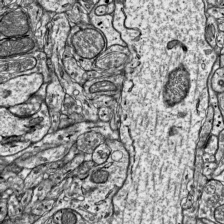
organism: Mouse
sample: Visual Cortex